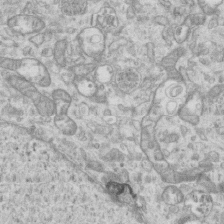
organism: Mouse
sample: Centriole in ependymal cells